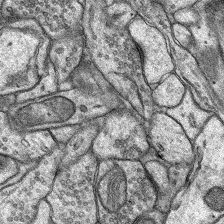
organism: Rat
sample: Hippocampus